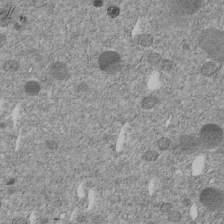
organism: C. elegans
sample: C. elegans embryo early stage